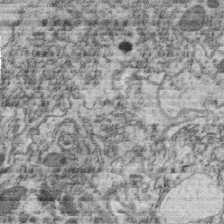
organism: C. elegans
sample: C. elegans oocyte; sperm cells